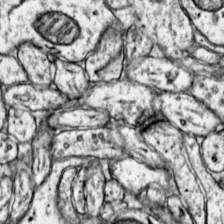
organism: Mouse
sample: Primary visual cortex